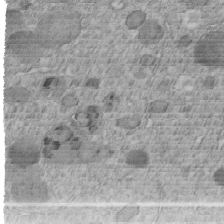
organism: C. elegans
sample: C. elegans embryo early stage